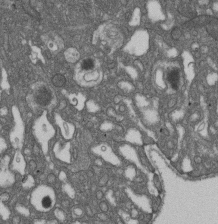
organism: Drosophila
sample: Nephrocyte